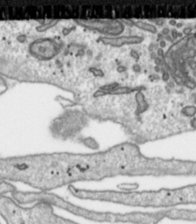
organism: Toxoplasma gondii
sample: Parasites in a vacuole inside a host cell